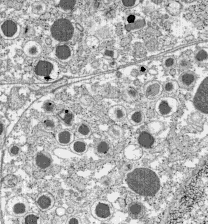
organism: C57BL Mouse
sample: Pancreatic islet